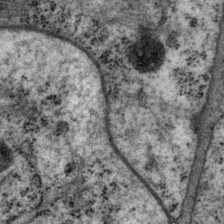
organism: P. pacificus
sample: Pharynx